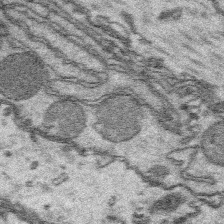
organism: Platynereis dumerilii